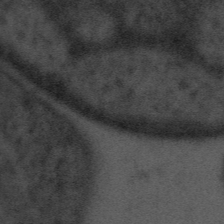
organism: Tuwongella immobilis